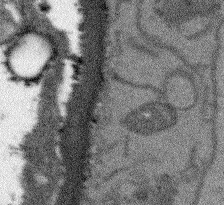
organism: Arabidopsis thaliana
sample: Root tip